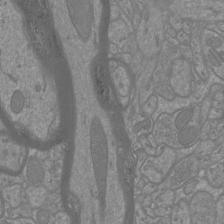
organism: Mouse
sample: Cortical neurons